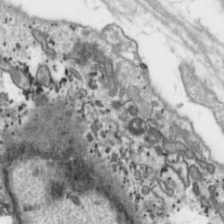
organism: Toxoplasma gondii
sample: Parasites in a vacuole inside a host cell